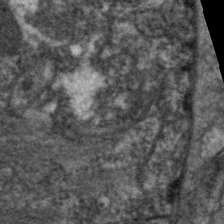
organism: C. elegans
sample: Pharynx